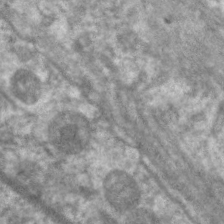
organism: C. elegans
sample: Pharynx